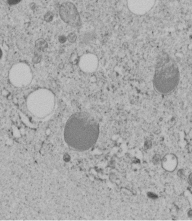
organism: C. elegans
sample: C. elegans embryo early stage